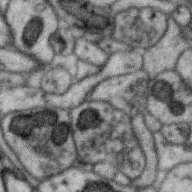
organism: Zebra finch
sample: Brain